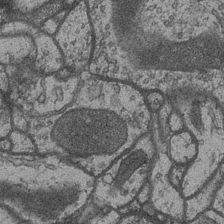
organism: Drosophila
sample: Optic medulla